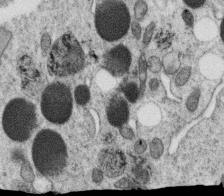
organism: C. elegans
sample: C. elegans oocyte; sperm cells